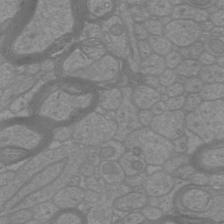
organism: Mouse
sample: Cortical neurons